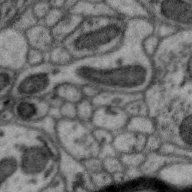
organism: Zebra finch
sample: Brain